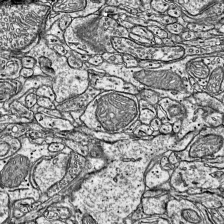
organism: Mouse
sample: Visual Cortex